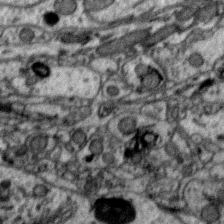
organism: Zebra finch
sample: Brain